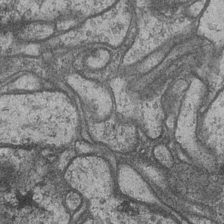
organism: Drosophila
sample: Optic medulla